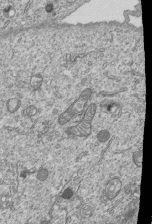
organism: Human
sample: MDA-MB-231 cells